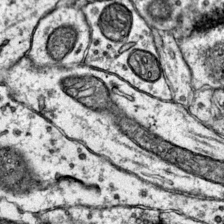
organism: Mouse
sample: Primary visual cortex